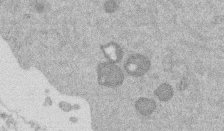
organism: Mouse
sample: Dividing mouse embryo 1 cell stage